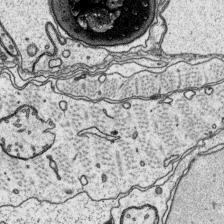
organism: Platynereis dumerilii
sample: Parapodia